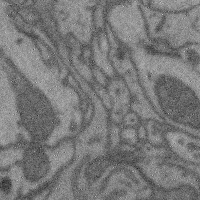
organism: Mouse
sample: Cerebral cortex